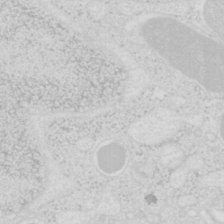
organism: Mouse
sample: Pancreas